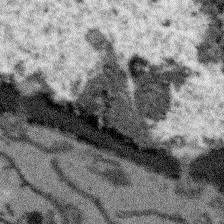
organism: Arabidopsis thaliana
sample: Root tip